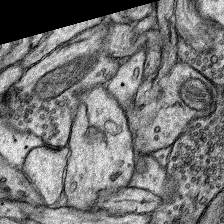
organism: Rat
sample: Hippocampus